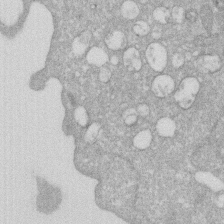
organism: Human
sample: HIV infected U937 cells